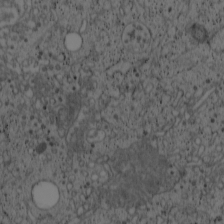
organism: African green monkey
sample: COS-7 cells